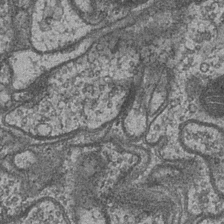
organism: Drosophila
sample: Optic medulla